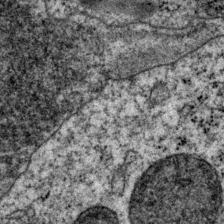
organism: P. pacificus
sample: Pharynx